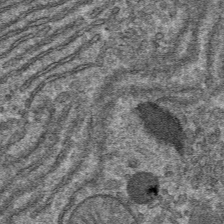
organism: Mouse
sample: Mouse hepatocytes